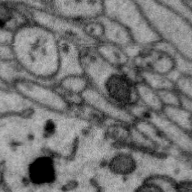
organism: Zebra finch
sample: Brain